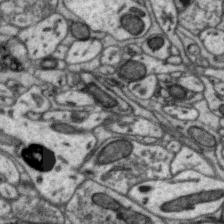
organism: Zebra finch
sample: Brain